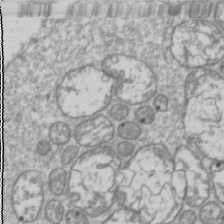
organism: Drosophila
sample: Cell division; meiosis; drosophila spermatocytes